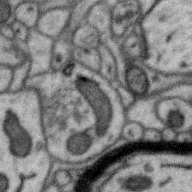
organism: Zebra finch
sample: Brain